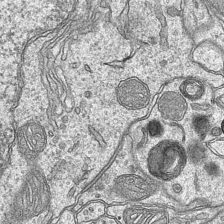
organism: Mouse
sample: CA1 Hippocampus